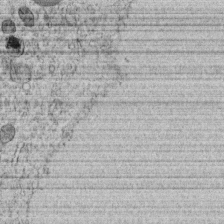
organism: C. elegans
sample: C. elegans embryo early stage